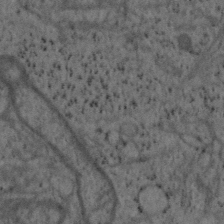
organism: Human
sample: HeLa cells